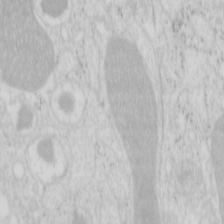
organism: Mouse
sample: Pancreas